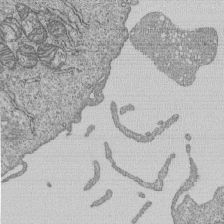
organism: Human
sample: MDA-MB-231 cells